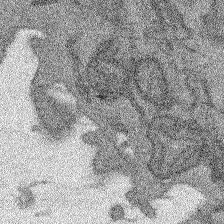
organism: Human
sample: HeLa cells